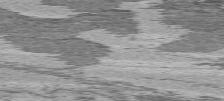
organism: C57BL Mouse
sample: Heart